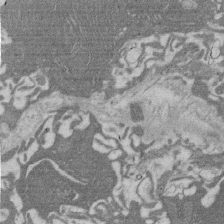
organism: Rat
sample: Salivary granule